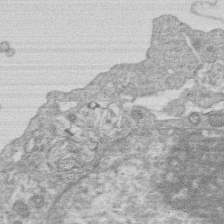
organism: Human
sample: Macrophage cells